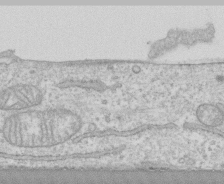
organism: Human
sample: CRL-1474